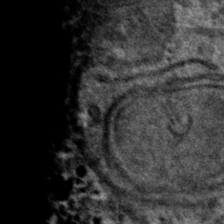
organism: Mouse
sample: Mouse hepatocytes